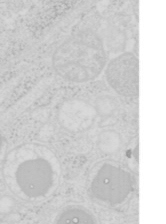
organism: Mouse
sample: Pancreas